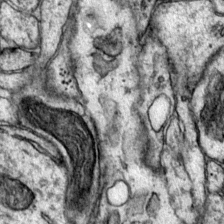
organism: Mouse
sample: Primary visual cortex